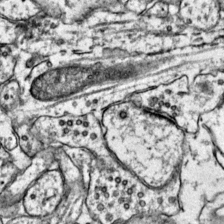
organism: Mouse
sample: Primary visual cortex